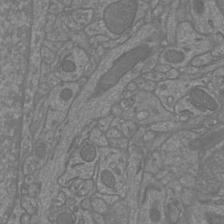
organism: Mouse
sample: Cortical neurons